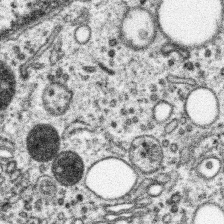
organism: Human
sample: HeLa cells